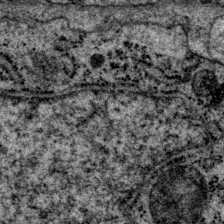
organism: P. pacificus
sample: Pharynx